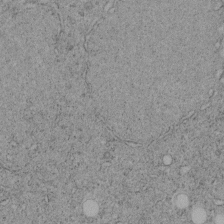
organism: C. elegans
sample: C. elegans embryo early stage